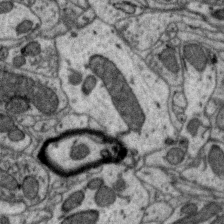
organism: Zebra finch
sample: Brain